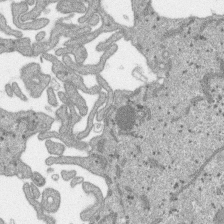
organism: Human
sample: Lung epithelial cells infected with SARS-CoV-2